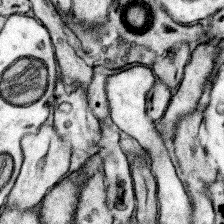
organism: Mouse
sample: Somatosensory cortex neuropil